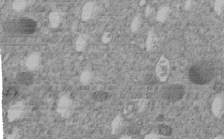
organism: C. elegans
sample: C. elegans embryo early stage